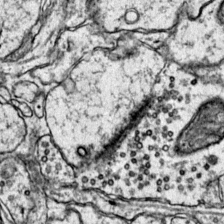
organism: Mouse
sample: Primary visual cortex